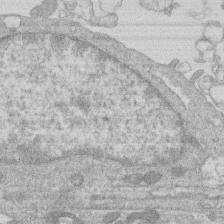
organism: Human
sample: Macrophage cells